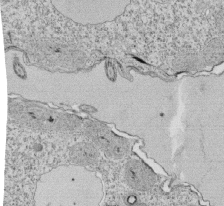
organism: Tetrahymena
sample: Cilia in tetrahymena